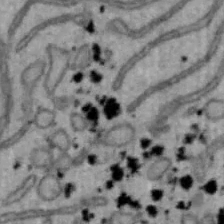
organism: Mouse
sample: Liver